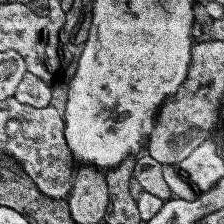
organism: Human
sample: Temporal Lobe